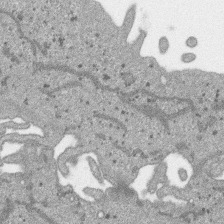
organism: Human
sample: Lung epithelial cells infected with SARS-CoV-2